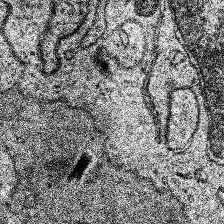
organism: Human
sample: Temporal Lobe